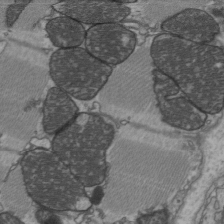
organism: C57BL Mouse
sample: Heart